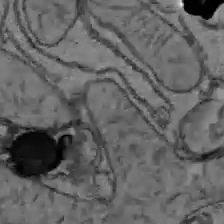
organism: C57BL Mouse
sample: Liver